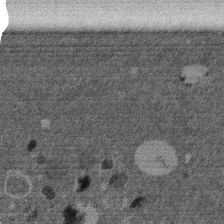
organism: Mouse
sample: Dividing mouse embryo 1 cell stage